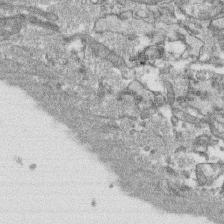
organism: Human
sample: CRL-1474